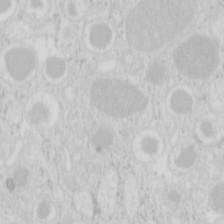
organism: Mouse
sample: Pancreas